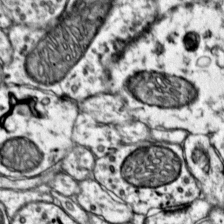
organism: Mouse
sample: Primary visual cortex